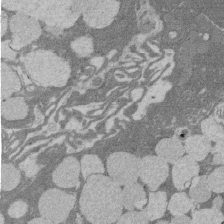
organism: Rat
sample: Salivary granule